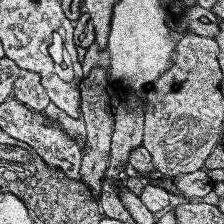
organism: Human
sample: Temporal Lobe